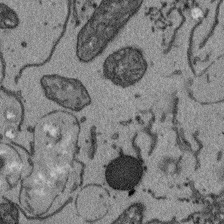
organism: Arabidopsis thaliana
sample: Root tip